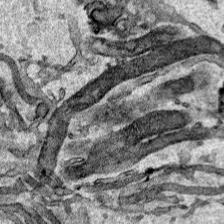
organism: Human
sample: Mitochondria in HCT116 cells